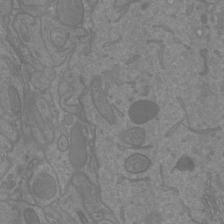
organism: Mouse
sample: Cortical neurons